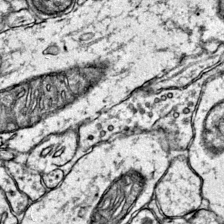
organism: Mouse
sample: Primary visual cortex